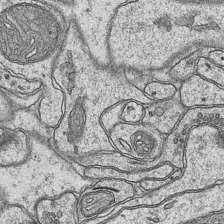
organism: Mouse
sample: CA1 Hippocampus